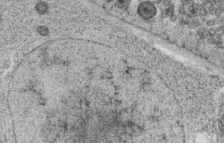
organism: C. elegans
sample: C. elegans oocyte; sperm cells